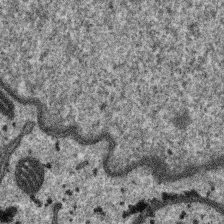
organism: Human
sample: Lung epithelial cells infected with SARS-CoV-2